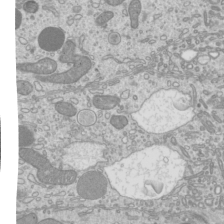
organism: Mouse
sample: Cilia; mouse epididymis